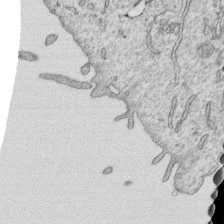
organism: Human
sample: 1205lu cells